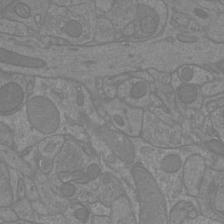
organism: Mouse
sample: Cortical neurons